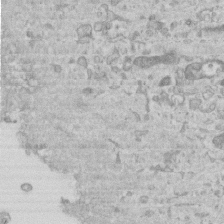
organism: Mouse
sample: Centriole in ependymal cells